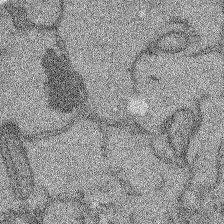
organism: Human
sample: HeLa cells